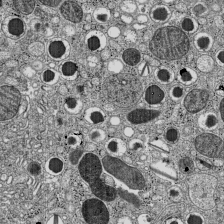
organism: C57BL Mouse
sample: Pancreatic islet